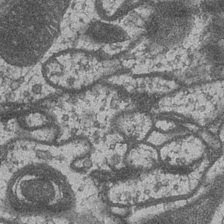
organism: Drosophila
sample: Optic medulla